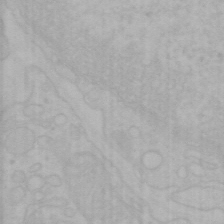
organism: Mouse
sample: Choroid plexus